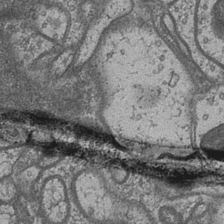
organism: Drosophila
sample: Optic medulla